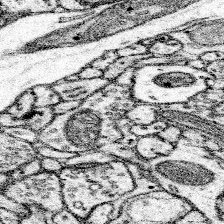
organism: Mouse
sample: Somatosensory cortex neuropil